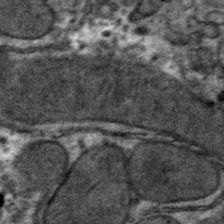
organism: Mouse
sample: Mouse hepatocytes